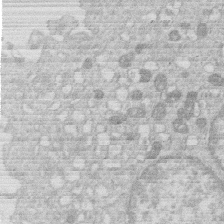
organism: Human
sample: Macrophage cells